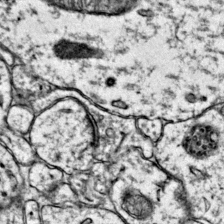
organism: Mouse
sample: Primary visual cortex